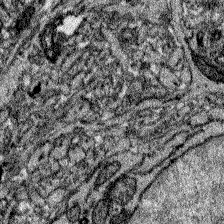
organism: Zebrafish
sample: Larval olfactory bulb